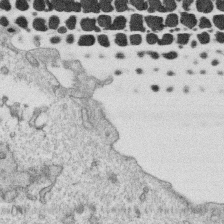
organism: Human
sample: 1205lu cells